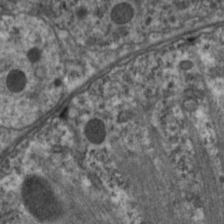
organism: C. elegans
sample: Pharynx